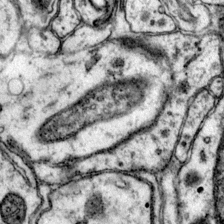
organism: Mouse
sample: Primary visual cortex